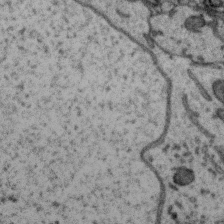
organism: Zebra finch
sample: Brain